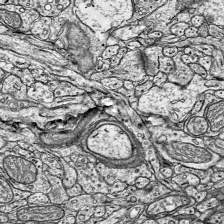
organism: Mouse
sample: Visual Cortex